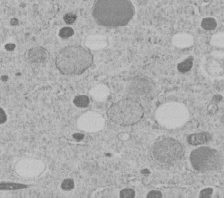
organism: C. elegans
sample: C. elegans embryo early stage